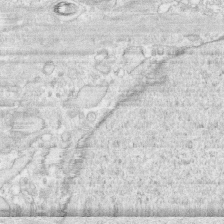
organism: Human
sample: CRL-1474